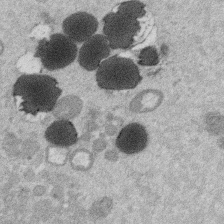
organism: Mouse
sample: Dividing mouse embryo 1 cell stage